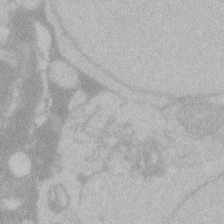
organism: Zebrafish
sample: Macrophage infected with Toxoplasma gondii